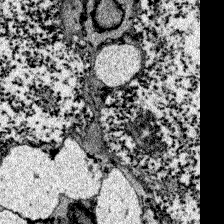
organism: Zebrafish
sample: Larval olfactory bulb